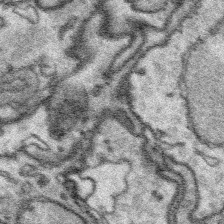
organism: Platynereis dumerilii